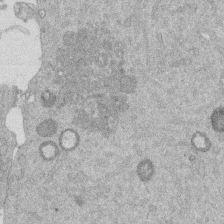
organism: Mouse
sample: Dividing mouse embryo 1 cell stage